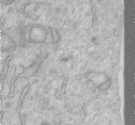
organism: Human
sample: Centriole in RPE cells